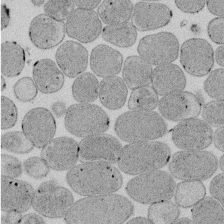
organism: E. coli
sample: Bacterial nucleoid